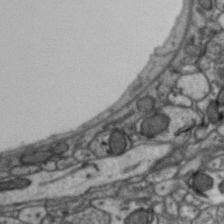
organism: Zebra finch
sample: Brain